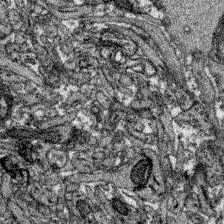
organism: Zebrafish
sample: Larval olfactory bulb